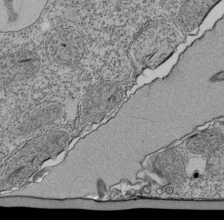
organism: Tetrahymena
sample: Cilia in tetrahymena